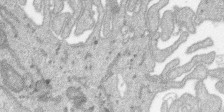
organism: Human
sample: Lung epithelial cells infected with SARS-CoV-2